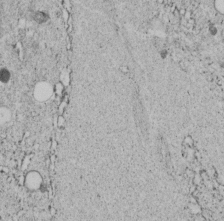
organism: C. elegans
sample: C. elegans embryo early stage